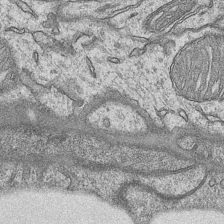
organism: Mouse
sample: CA1 Hippocampus